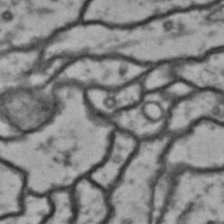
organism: Drosophila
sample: Brain